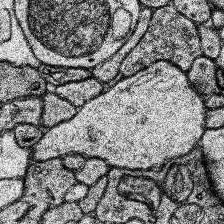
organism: Human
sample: Temporal Lobe